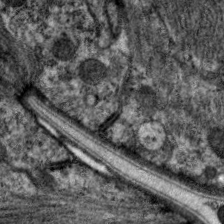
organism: C. elegans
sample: Pharynx